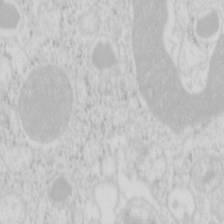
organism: Mouse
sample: Pancreas